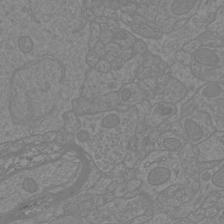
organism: Mouse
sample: Cortical neurons